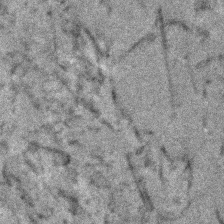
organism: Human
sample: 1205lu cells